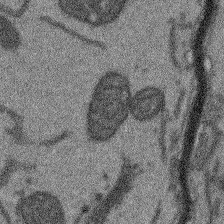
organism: Arabidopsis thaliana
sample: Root tip